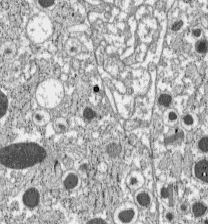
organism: C57BL Mouse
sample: Pancreatic islet